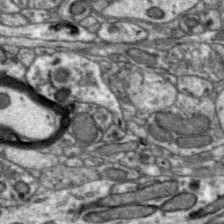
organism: Zebra finch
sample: Brain